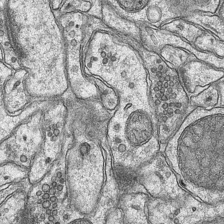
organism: Mouse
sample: CA1 Hippocampus